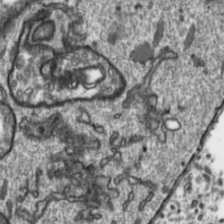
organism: Toxoplasma gondii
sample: Parasites in a vacuole inside a host cell